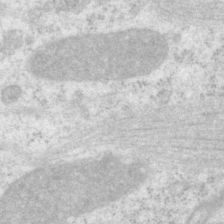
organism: P. pacificus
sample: Pharynx